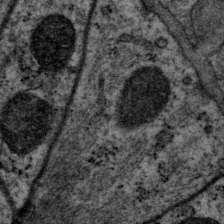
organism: P. pacificus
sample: Pharynx